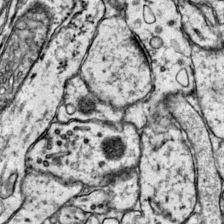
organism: Mouse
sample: Primary visual cortex